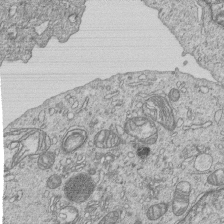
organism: Human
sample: MDA-MB-231 cells